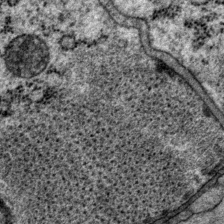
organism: P. pacificus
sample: Pharynx